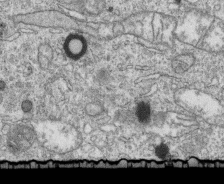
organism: Human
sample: HeLa cell HIV synapse